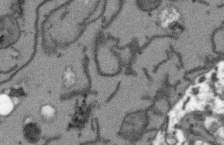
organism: Arabidopsis thaliana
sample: Root tip